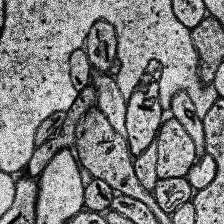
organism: Human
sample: Temporal Lobe